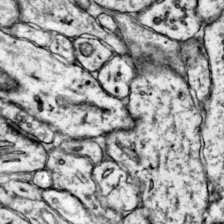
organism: Mouse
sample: Primary visual cortex